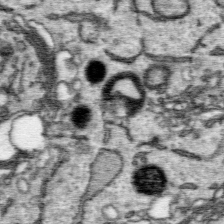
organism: Human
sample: HeLa cells